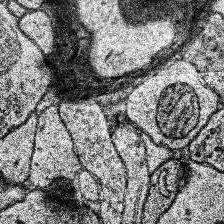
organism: Human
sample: Temporal Lobe